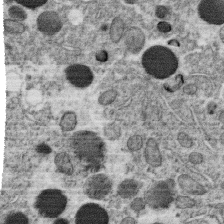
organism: C. elegans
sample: C. elegans oocyte; sperm cells